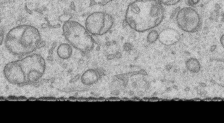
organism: Human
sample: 1205lu cells